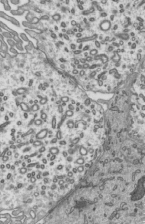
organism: Mouse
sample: Mouse epididymis efferent ductule cilia